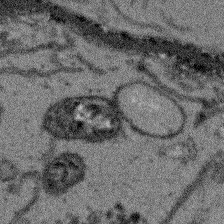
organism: Arabidopsis thaliana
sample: Root tip